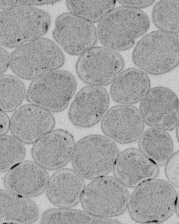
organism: E. coli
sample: Bacterial nucleoid